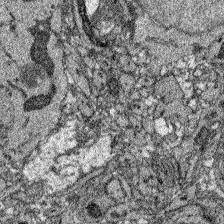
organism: Zebrafish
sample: Larval olfactory bulb